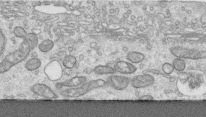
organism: Human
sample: Centriole in RPE cells